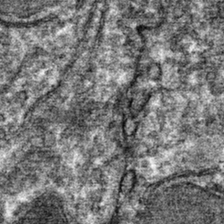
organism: Mouse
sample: Mouse hepatocytes